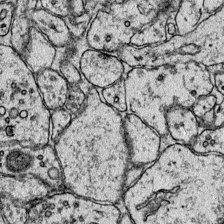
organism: Mouse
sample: Primary visual cortex